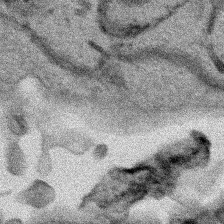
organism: Human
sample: Mitochondria in HCT116 cells